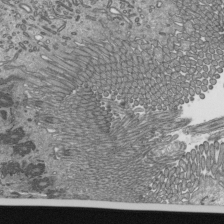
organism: Mouse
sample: Mouse epididymis efferent ductule cilia